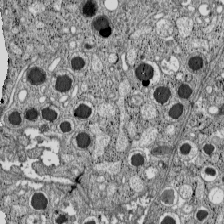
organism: C57BL Mouse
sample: Pancreatic islet